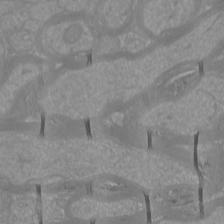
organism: Mouse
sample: Cortical neurons